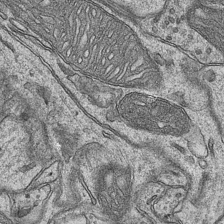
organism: Mouse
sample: CA1 Hippocampus